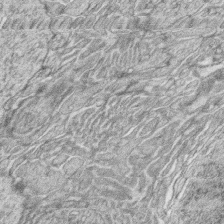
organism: Zebrafish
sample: synaptic ribbons in rod cells and cone cells